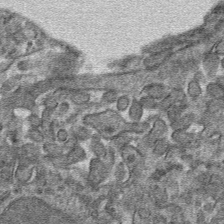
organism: Mouse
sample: Mouse hepatocytes